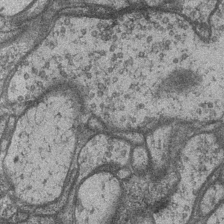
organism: Drosophila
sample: Optic medulla